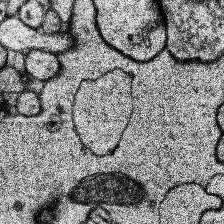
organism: Human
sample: Temporal Lobe